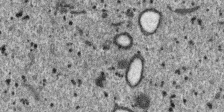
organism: Human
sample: Lung epithelial cells infected with SARS-CoV-2